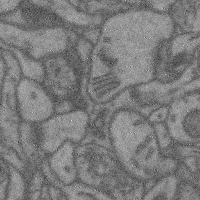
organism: Mouse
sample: Cerebral cortex